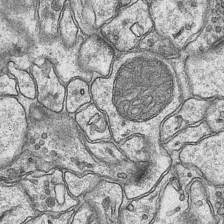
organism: Mouse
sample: CA1 Hippocampus